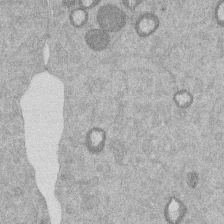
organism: Mouse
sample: Dividing mouse embryo 1 cell stage